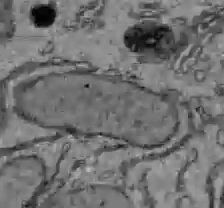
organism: C57BL Mouse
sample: Liver